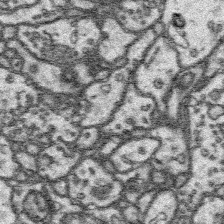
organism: Platynereis dumerilii